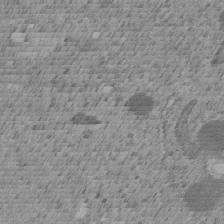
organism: C. elegans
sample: C. elegans embryo early stage